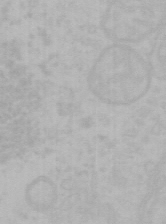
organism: Mouse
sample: Choroid plexus